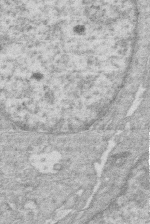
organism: Human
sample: Macrophage cells